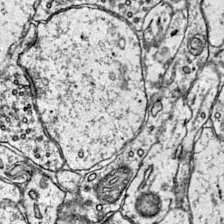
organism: Mouse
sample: Primary visual cortex